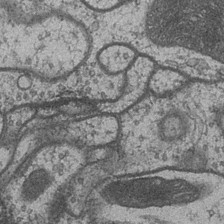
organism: Drosophila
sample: Optic medulla